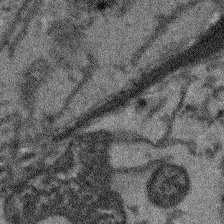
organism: Arabidopsis thaliana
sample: Root tip